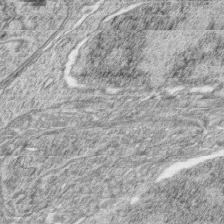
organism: Zebrafish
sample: synaptic ribbons in rod cells and cone cells